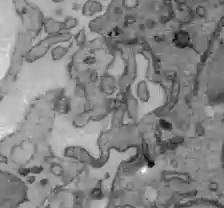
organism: C57BL Mouse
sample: Liver